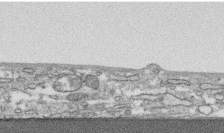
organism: Human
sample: CRL-1474